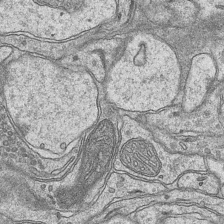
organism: Mouse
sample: CA1 Hippocampus